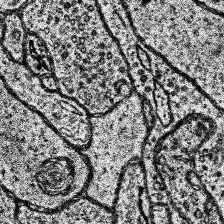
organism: Human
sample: Temporal Lobe